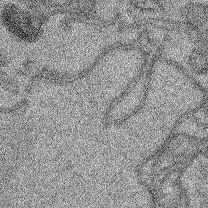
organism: Human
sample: HeLa cells